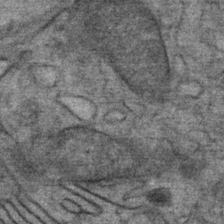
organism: Mouse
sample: Mouse Salivary gland